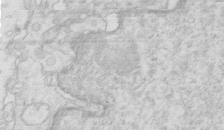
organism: Mouse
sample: Multiciliated cells